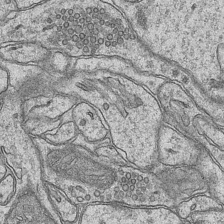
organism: Mouse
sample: CA1 Hippocampus